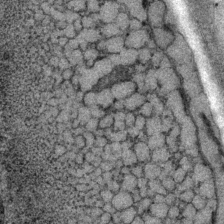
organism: P. pacificus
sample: Pharynx